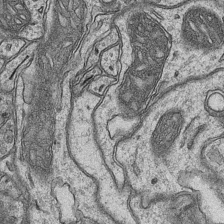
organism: Mouse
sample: CA1 Hippocampus